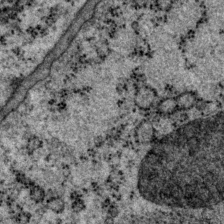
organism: P. pacificus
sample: Pharynx